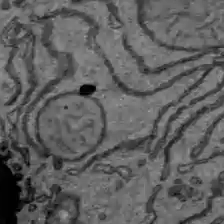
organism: C57BL Mouse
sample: Liver